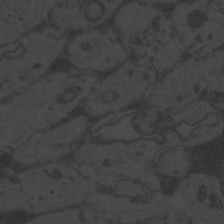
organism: Zebrafish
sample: Macrophage infected with Toxoplasma gondii